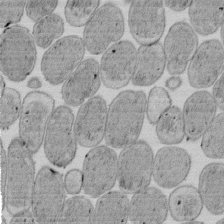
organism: E. coli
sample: Bacterial nucleoid